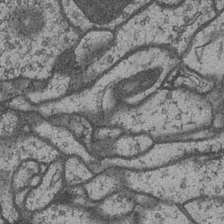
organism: Drosophila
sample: Optic medulla